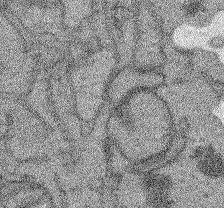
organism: Human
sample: HeLa cells